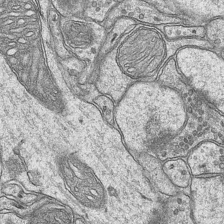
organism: Mouse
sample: CA1 Hippocampus